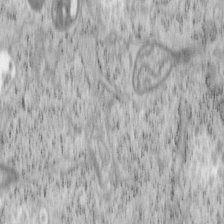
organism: Human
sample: HeLa cells